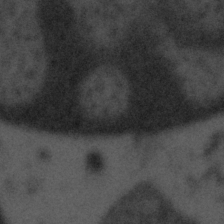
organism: Tuwongella immobilis